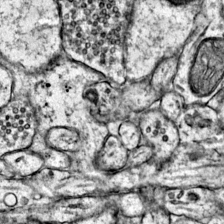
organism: Mouse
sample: Primary visual cortex